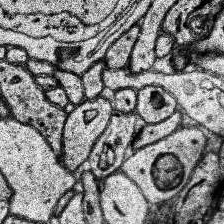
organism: Human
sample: Temporal Lobe